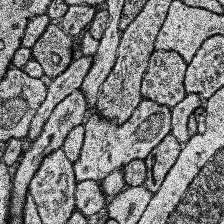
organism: Human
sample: Temporal Lobe